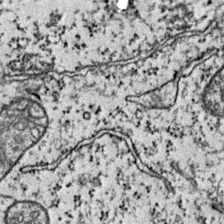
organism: Mouse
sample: Primary visual cortex